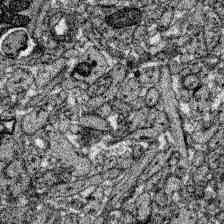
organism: Zebrafish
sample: Larval olfactory bulb